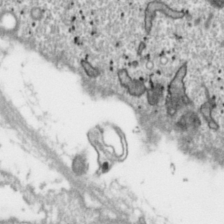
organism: Toxoplasma gondii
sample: Parasites in a vacuole inside a host cell